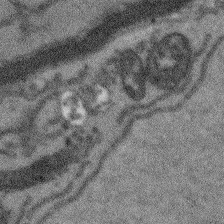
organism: Arabidopsis thaliana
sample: Root tip